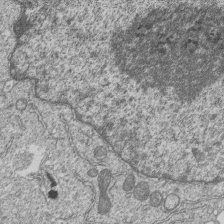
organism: Human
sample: MDA-MB-231 cells